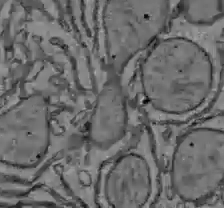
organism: C57BL Mouse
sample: Liver